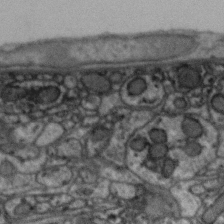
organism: Zebra finch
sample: Brain